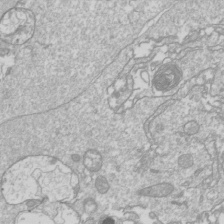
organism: Drosophila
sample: Cell division; meiosis; drosophila spermatocytes